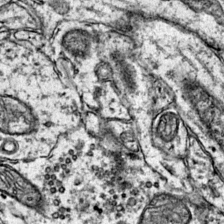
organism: Mouse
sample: Primary visual cortex